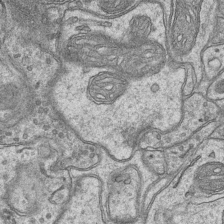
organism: Mouse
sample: CA1 Hippocampus